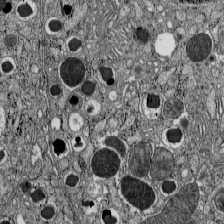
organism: C57BL Mouse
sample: Pancreatic islet